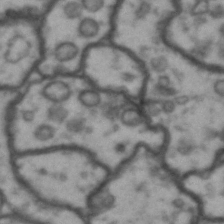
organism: Drosophila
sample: Brain